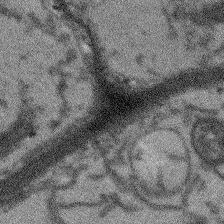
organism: Arabidopsis thaliana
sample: Root tip